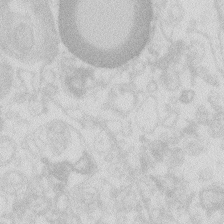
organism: Zebrafish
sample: Macrophage